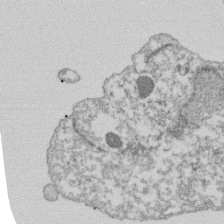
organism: Dictyostelium discoideum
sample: Dictyostelium multivesicular bodies